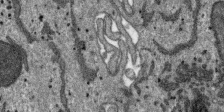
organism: Human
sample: Lung epithelial cells, uninfected (mock) control